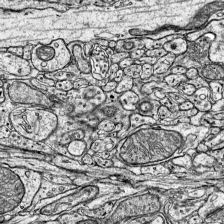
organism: Mouse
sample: Visual Cortex